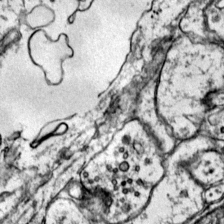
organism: Mouse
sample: Primary visual cortex